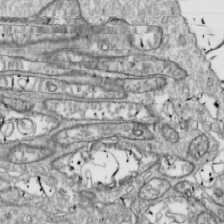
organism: Drosophila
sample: Cell division; meiosis; drosophila spermatocytes